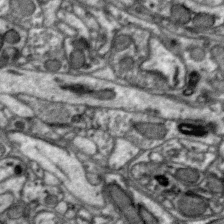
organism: Zebra finch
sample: Brain